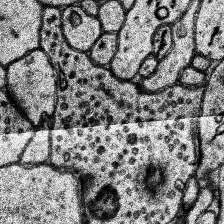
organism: Human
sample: Temporal Lobe